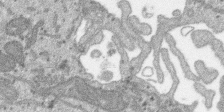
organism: Human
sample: Lung epithelial cells infected with SARS-CoV-2